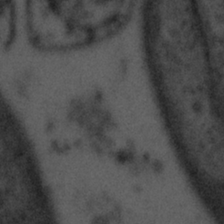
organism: Tuwongella immobilis